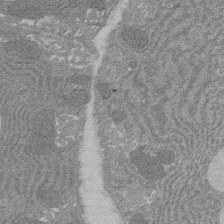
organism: Rat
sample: Salivary granule